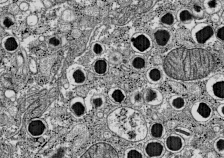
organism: C57BL Mouse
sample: Pancreatic islet